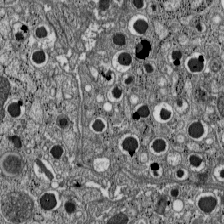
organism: C57BL Mouse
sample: Pancreatic islet